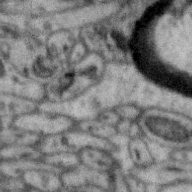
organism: Zebra finch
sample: Brain